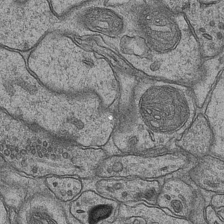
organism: Mouse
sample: CA1 Hippocampus